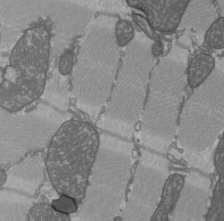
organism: C57BL Mouse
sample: Heart